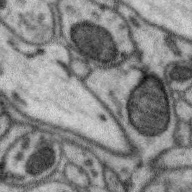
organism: Zebra finch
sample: Brain